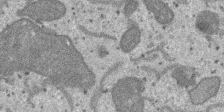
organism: Human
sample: Lung epithelial cells infected with SARS-CoV-2